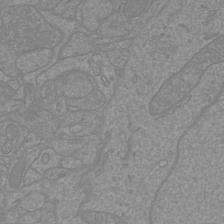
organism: Mouse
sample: Cortical neurons